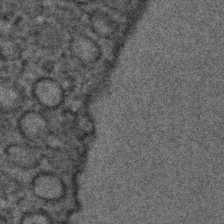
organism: C. elegans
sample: C. elegans embryo